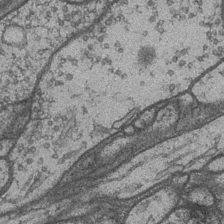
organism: Drosophila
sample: Optic medulla